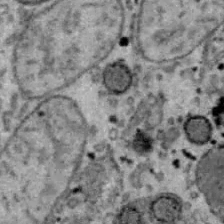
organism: Mouse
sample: Liver from an obese (ob/ob) mouse